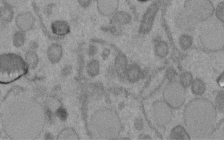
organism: C. elegans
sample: C. elegans embryo early stage